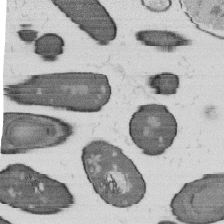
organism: B. subtilis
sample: Bacterial spore